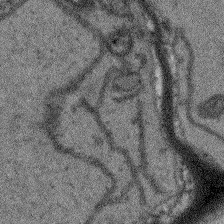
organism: Arabidopsis thaliana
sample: Root tip